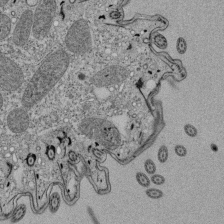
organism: Tetrahymena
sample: Cilia in tetrahymena